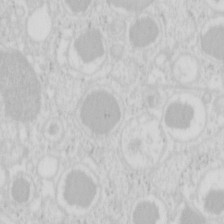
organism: Mouse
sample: Pancreas